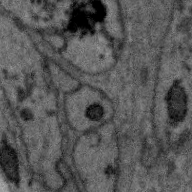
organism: Zebra finch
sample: Brain